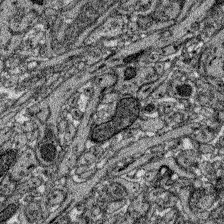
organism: Zebrafish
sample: Larval olfactory bulb